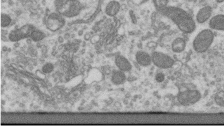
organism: Human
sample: Centriole in RPE cells